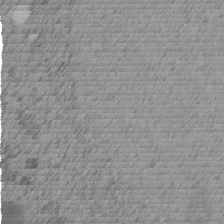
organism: C. elegans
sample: C. elegans embryo early stage